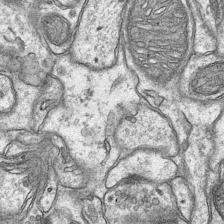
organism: Mouse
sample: CA1 Hippocampus